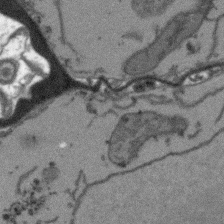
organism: Arabidopsis thaliana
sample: Root tip